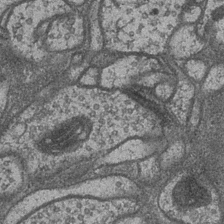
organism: Drosophila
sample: Optic medulla